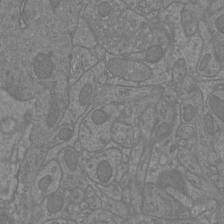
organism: Mouse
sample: Cortical neurons